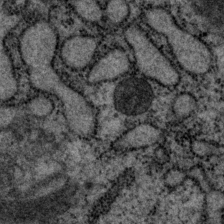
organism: P. pacificus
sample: Pharynx